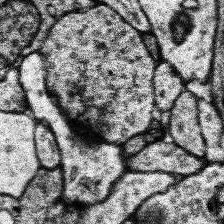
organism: Human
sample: Temporal Lobe